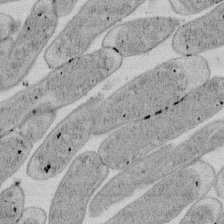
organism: E. coli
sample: Bacterial nucleoid